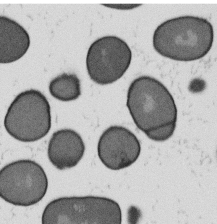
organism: B. subtilis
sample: Bacterial spore